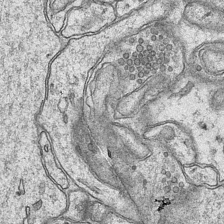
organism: Mouse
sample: CA1 Hippocampus